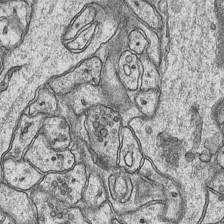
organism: Mouse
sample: CA1 Hippocampus